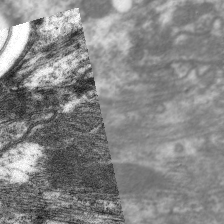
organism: C. elegans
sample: Pharynx